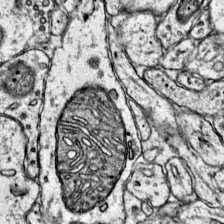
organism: Mouse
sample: Primary visual cortex